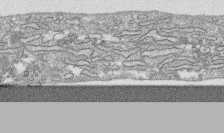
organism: Human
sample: CRL-1474